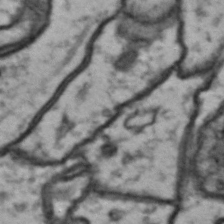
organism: Drosophila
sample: Brain